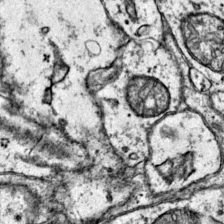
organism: Mouse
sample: Primary visual cortex